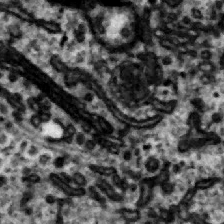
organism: Human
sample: HeLa cells